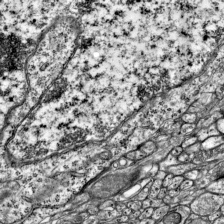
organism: Mouse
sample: Visual Cortex